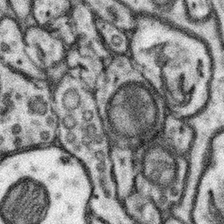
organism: Mouse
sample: Somatosensory cortex neuropil